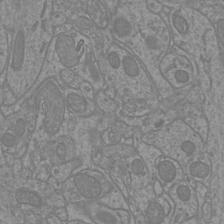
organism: Mouse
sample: Cortical neurons